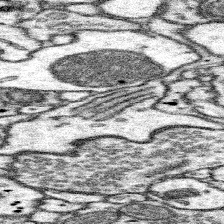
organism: Mouse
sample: Somatosensory cortex neuropil